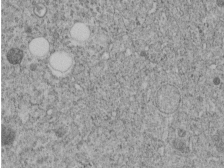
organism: C. elegans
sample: C. elegans embryo early stage